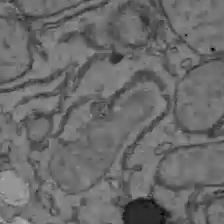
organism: C57BL Mouse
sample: Liver